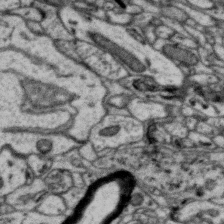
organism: Zebra finch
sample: Brain